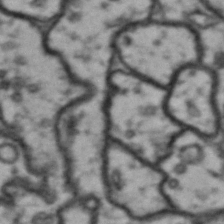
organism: Drosophila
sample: Brain